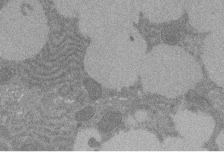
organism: Rat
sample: Salivary granule